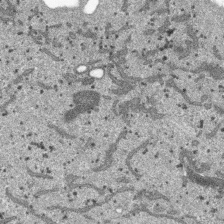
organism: Human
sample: Lung epithelial cells infected with SARS-CoV-2